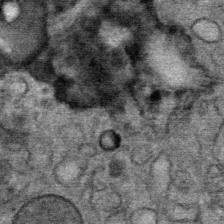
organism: Mouse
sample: Mouse Salivary gland